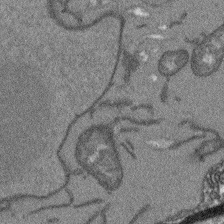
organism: Arabidopsis thaliana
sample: Root tip